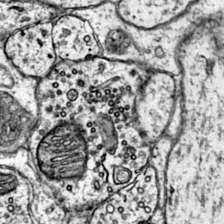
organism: Mouse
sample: Primary visual cortex